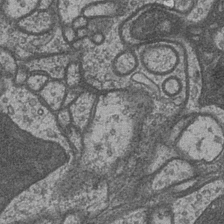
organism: Drosophila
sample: Optic medulla